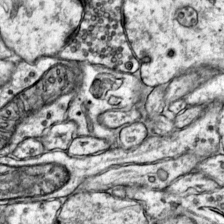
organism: Mouse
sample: Primary visual cortex